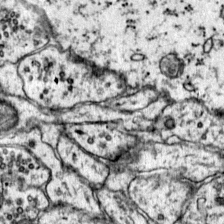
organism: Mouse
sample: Primary visual cortex